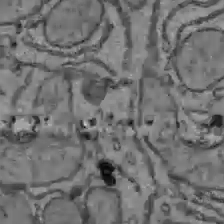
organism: C57BL Mouse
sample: Liver